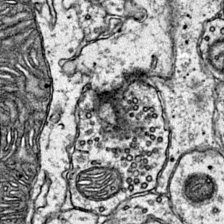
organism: Mouse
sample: Primary visual cortex